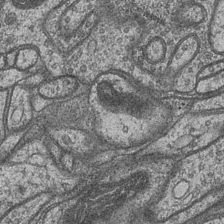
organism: Drosophila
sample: Optic medulla